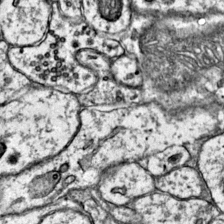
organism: Mouse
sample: Primary visual cortex